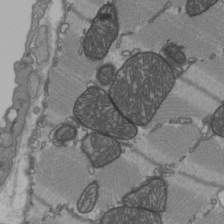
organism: C57BL Mouse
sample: Heart